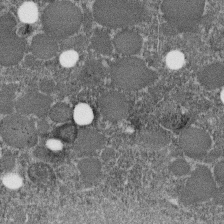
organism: C. elegans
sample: C. elegans embryo early stage